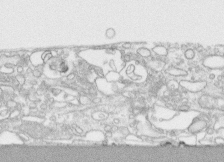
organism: Human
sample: CRL-1474